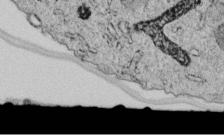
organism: C. elegans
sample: C. elegans embryo early stage